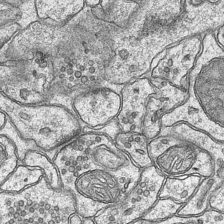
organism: Mouse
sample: CA1 Hippocampus